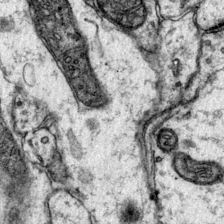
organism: Mouse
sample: Primary visual cortex